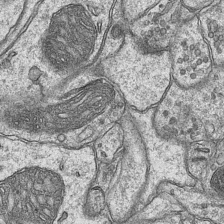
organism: Mouse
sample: CA1 Hippocampus